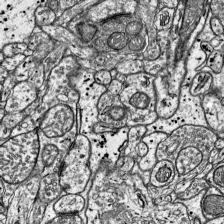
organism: Mouse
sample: Visual Cortex